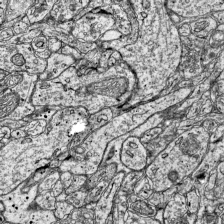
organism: Mouse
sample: Visual Cortex